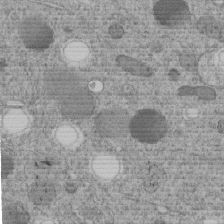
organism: C. elegans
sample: C. elegans embryo early stage